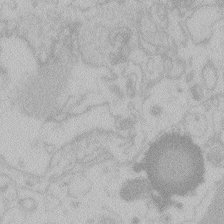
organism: Zebrafish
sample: Macrophage infected with Toxoplasma gondii